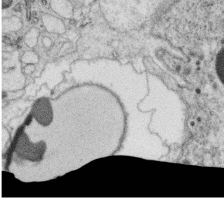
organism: C. elegans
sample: C. elegans oocyte; sperm cells